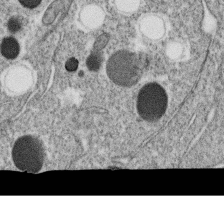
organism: C. elegans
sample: C. elegans oocyte; sperm cells